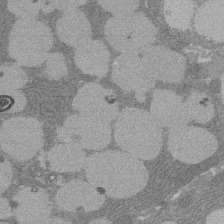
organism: Rat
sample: Salivary granule